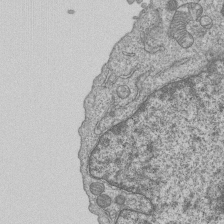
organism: Human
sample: MDA-MB-231 cells